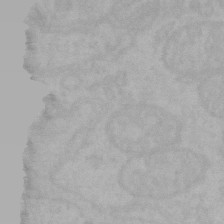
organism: Mouse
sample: Choroid plexus